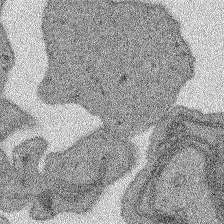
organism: Human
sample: HeLa cells